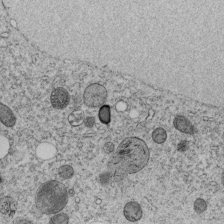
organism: C. elegans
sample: C. elegans embryo early stage